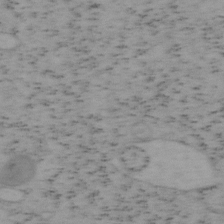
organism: Mouse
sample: OT-I killer T cells with ID8 ovarian cancer cells